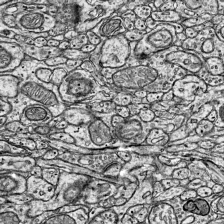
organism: Mouse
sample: Visual Cortex